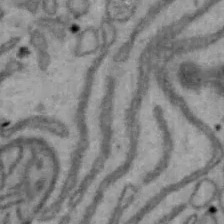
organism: Mouse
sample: Liver